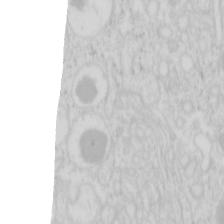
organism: Mouse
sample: Pancreas